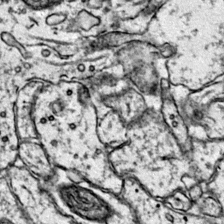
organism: Mouse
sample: Primary visual cortex